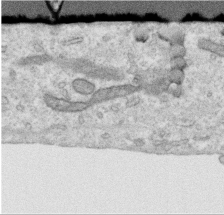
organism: Human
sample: Centriole in RPE cells